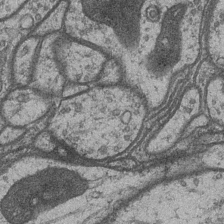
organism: Drosophila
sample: Optic medulla